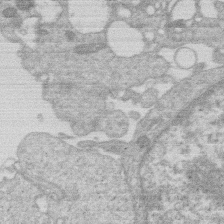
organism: Human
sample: Macrophage cells